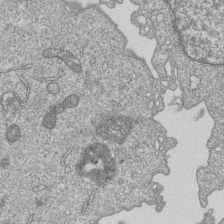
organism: Human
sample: MDA-MB-231 cells